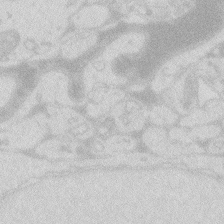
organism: Zebrafish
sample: Macrophage